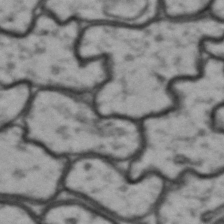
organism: Drosophila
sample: Brain